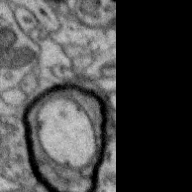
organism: Zebra finch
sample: Brain